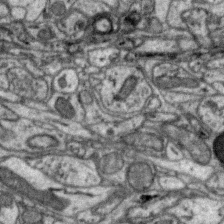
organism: Zebra finch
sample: Brain